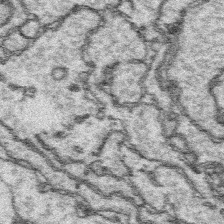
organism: Platynereis dumerilii